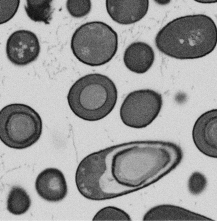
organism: B. subtilis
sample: Bacterial spore